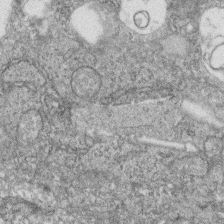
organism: Zebrafish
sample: Cilia; retinal pigment epithelium